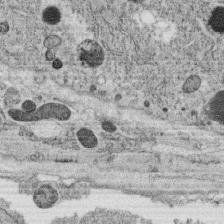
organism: C. elegans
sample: C. elegans oocyte; sperm cells